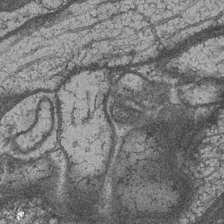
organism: Drosophila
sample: Optic medulla